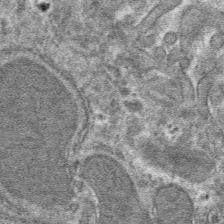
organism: Mouse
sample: Mouse hepatocytes